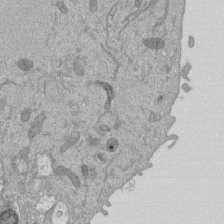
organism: Mouse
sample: ED-1 cell nuclei; centrioles